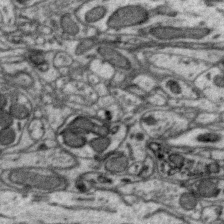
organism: Zebra finch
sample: Brain